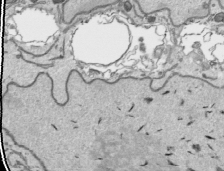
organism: Human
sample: Mitochondria in HCT116 cells